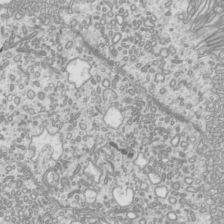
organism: Mouse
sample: Cilia; mouse epididymis